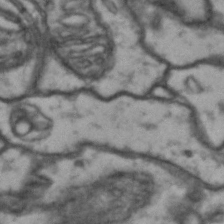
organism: Drosophila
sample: Brain